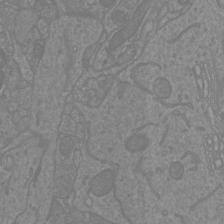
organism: Mouse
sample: Cortical neurons